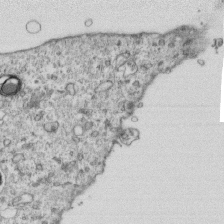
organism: Mouse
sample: Activated OT-1 CD8+ T cells